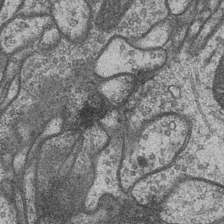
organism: Drosophila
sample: Optic medulla